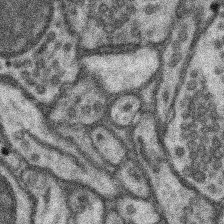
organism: Mouse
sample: Somatosensory cortex neuropil